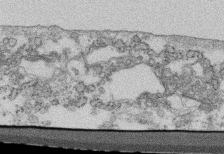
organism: Mouse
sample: Cilia; retinal pigment epithelium